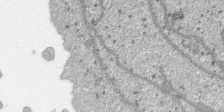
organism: Human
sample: Lung epithelial cells infected with SARS-CoV-2